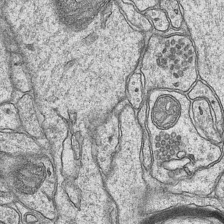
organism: Mouse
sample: CA1 Hippocampus